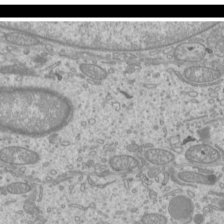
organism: Mouse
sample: Cilia; mouse epididymis